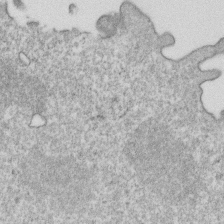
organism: Mouse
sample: Activated OT-1 CD8+ T cells